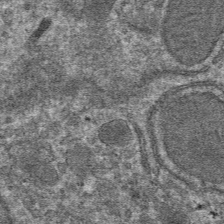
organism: Mouse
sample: Mouse hepatocytes